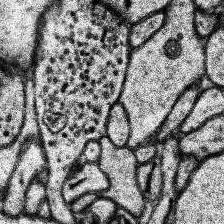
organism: Human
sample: Temporal Lobe